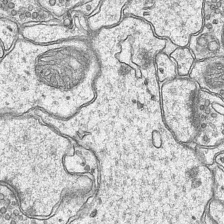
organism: Mouse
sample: CA1 Hippocampus